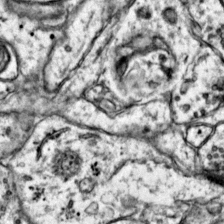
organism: Mouse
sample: Primary visual cortex